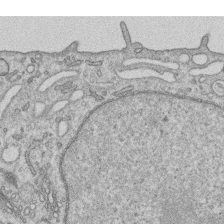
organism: Human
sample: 1205lu cells